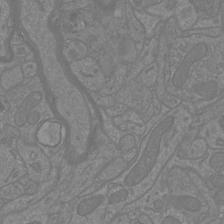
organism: Mouse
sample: Cortical neurons